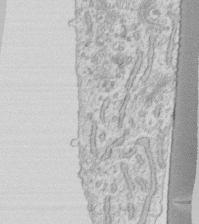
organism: Human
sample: Fibroblast cells